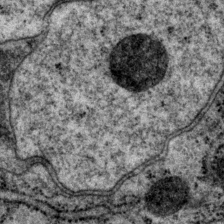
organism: P. pacificus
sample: Pharynx